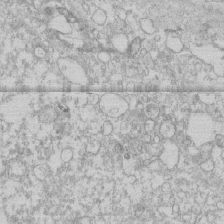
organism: Human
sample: CRL-1474